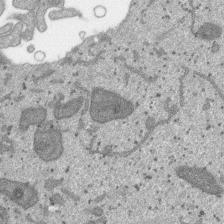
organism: Human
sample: Lung epithelial cells infected with SARS-CoV-2